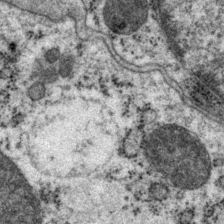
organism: P. pacificus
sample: Pharynx